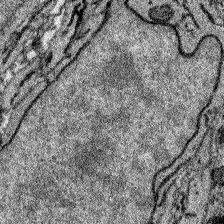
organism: Zebrafish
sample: Larval olfactory bulb